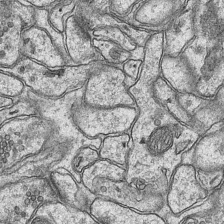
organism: Mouse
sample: CA1 Hippocampus